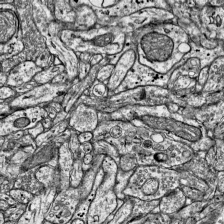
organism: Mouse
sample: Visual Cortex